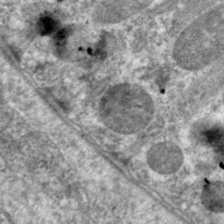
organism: C. elegans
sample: Pharynx